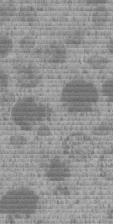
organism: C. elegans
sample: C. elegans embryo early stage